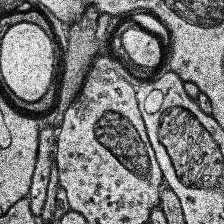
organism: Human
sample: Temporal Lobe